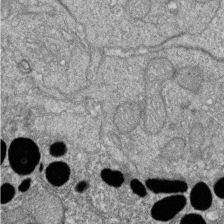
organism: Zebrafish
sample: Cilia; retinal pigment epithelium